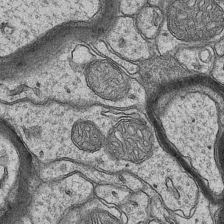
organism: Mouse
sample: CA1 Hippocampus